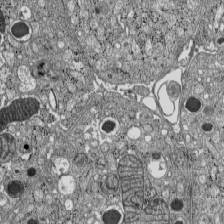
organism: C57BL Mouse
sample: Pancreatic islet